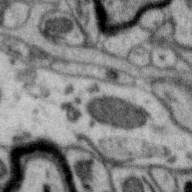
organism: Zebra finch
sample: Brain